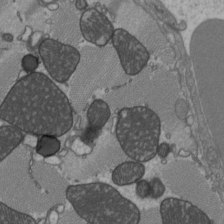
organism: C57BL Mouse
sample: Heart